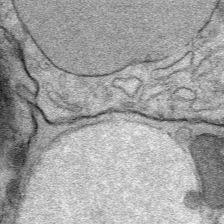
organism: Mouse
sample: Mouse Salivary gland